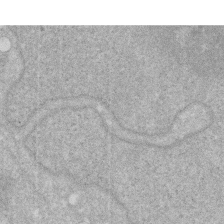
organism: Human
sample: HIV infected U937 cells